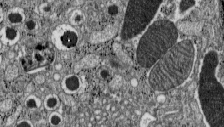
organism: C57BL Mouse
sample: Pancreatic islet